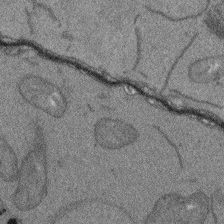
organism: Arabidopsis thaliana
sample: Root tip